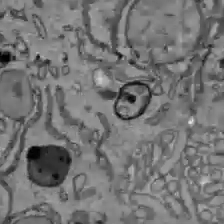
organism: C57BL Mouse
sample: Liver